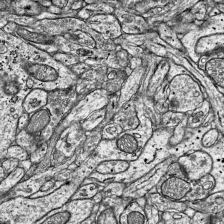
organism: Mouse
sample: Visual Cortex